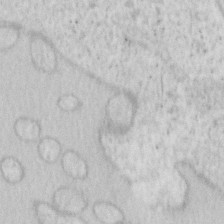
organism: Human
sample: HeLa cells